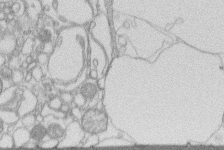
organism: Human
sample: Macrophage cells